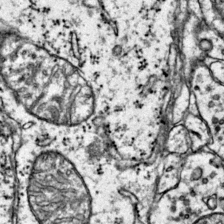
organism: Mouse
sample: Primary visual cortex